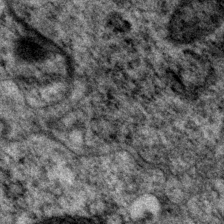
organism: P. pacificus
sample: Pharynx